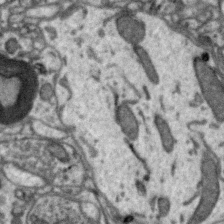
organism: Zebra finch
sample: Brain